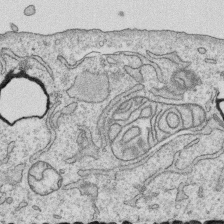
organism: Human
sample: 1205lu cells